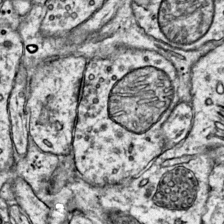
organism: Mouse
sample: Primary visual cortex